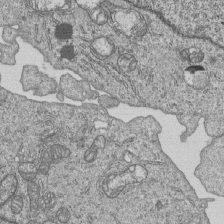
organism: Human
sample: MDA-MB-231 cells